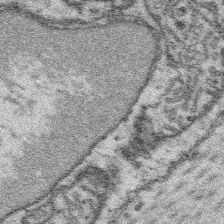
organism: Platynereis dumerilii